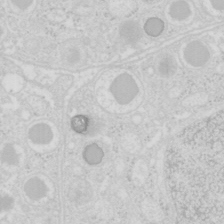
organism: Mouse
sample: Pancreas